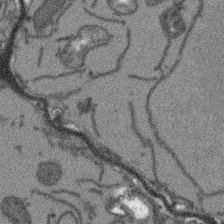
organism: Arabidopsis thaliana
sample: Root tip